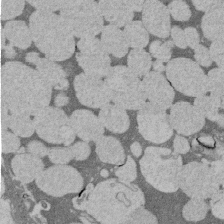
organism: Rat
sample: Salivary granule